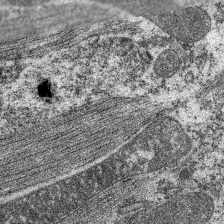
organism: C. elegans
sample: Pharynx